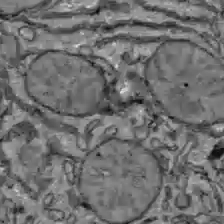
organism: C57BL Mouse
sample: Liver